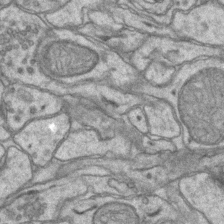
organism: Mouse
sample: CA1 Hippocampus